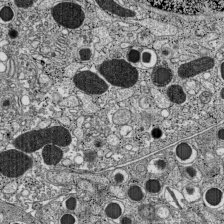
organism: C57BL Mouse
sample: Pancreatic islet